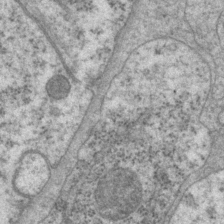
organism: P. pacificus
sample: Pharynx